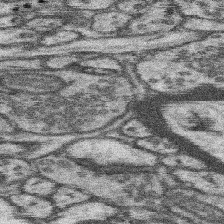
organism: Mouse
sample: Somatosensory cortex neuropil